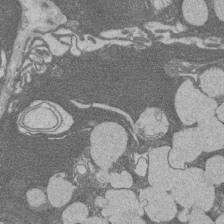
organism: Rat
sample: Salivary granule